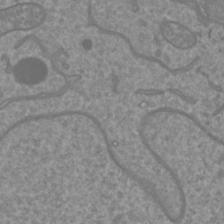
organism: Mouse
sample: Cortical neurons